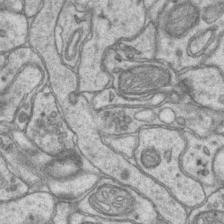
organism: Mouse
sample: CA1 Hippocampus